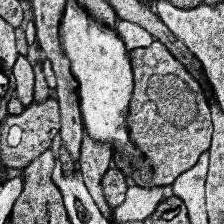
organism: Human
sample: Temporal Lobe